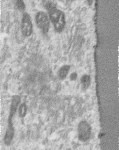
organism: Human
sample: Centriole in RPE cells